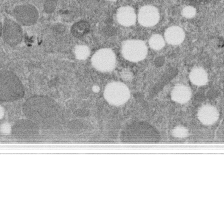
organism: C. elegans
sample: C. elegans embryo early stage